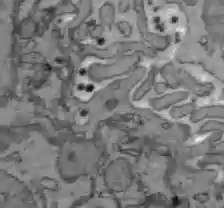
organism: C57BL Mouse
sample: Liver